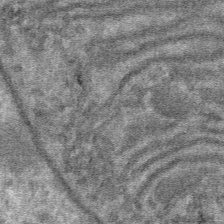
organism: Mouse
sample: Mouse hepatocytes